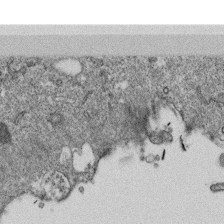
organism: African green monkey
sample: Vero E6 cells infected with SARS-CoV-2